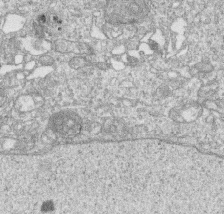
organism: Human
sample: HeLa cell HIV synapse